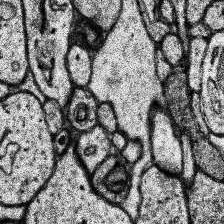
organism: Human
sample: Temporal Lobe